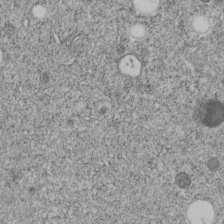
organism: C. elegans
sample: C. elegans embryo early stage